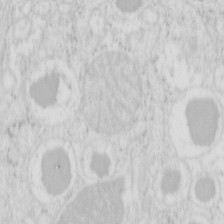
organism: Mouse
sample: Pancreas